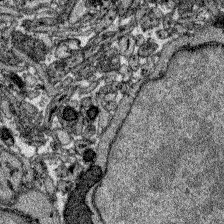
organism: Zebrafish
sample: Larval olfactory bulb